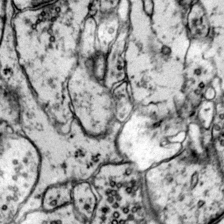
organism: Mouse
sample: Primary visual cortex